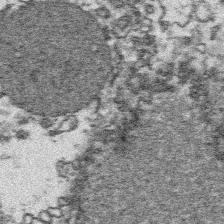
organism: Platynereis dumerilii